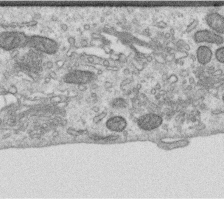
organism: Human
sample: Centriole in RPE cells